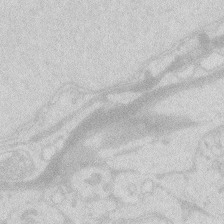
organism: Zebrafish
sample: Macrophage